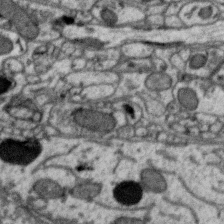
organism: Zebra finch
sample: Brain